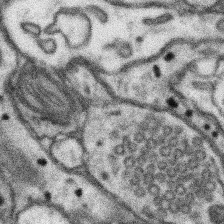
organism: Mouse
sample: Somatosensory cortex neuropil